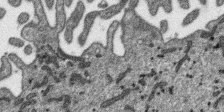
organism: Human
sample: Lung epithelial cells infected with SARS-CoV-2